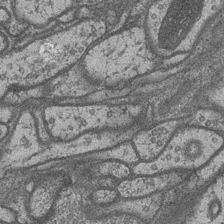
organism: Drosophila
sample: Optic medulla